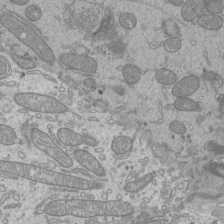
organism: Mouse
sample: Cilia; mouse epididymis